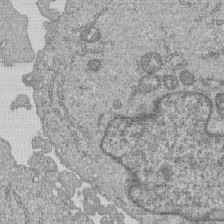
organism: Human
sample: MDA-MB-231 cells